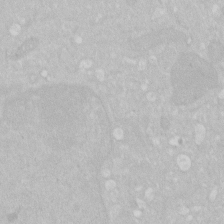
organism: Human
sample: HIV infected U937 cells